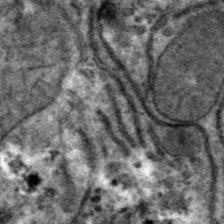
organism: Mouse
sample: Mouse hepatocytes